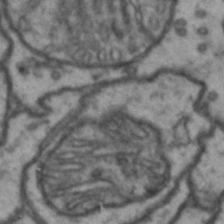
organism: Drosophila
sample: Brain